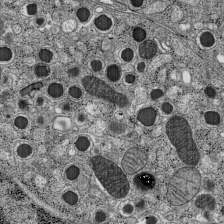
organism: C57BL Mouse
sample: Pancreatic islet